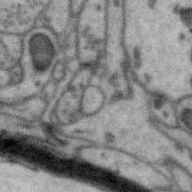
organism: Zebra finch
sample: Brain